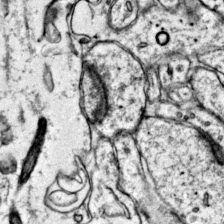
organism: Mouse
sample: Primary visual cortex